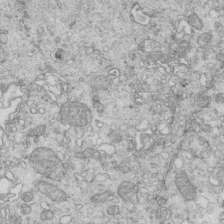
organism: Mouse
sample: Multiciliated cells